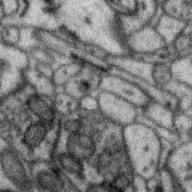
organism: Zebra finch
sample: Brain